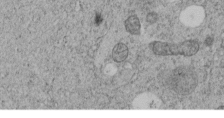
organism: C. elegans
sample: C. elegans embryo early stage